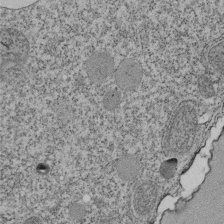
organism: Tetrahymena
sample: Cilia in tetrahymena